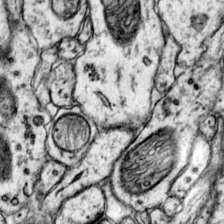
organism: Mouse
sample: Primary visual cortex